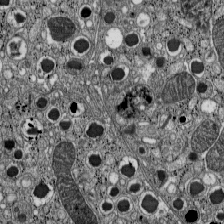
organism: C57BL Mouse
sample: Pancreatic islet